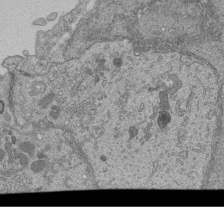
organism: Human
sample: Retinal organoid Rod and Cone cells